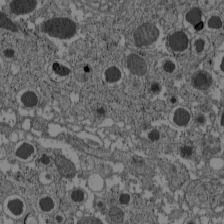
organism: C57BL Mouse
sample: Pancreatic islet